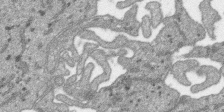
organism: Human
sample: Lung epithelial cells infected with SARS-CoV-2